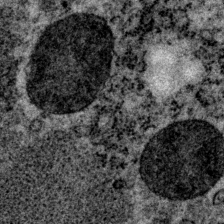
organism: P. pacificus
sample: Pharynx